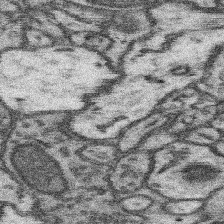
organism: Mouse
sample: Somatosensory cortex neuropil